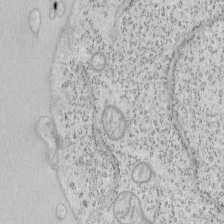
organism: Mouse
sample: OT-I killer T cells with ID8 ovarian cancer cells